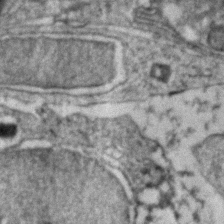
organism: Zebrafish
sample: Zebrafish embryo